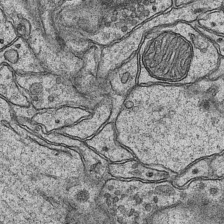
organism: Mouse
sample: CA1 Hippocampus